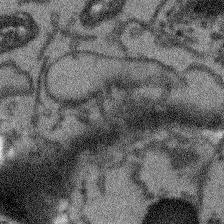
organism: Arabidopsis thaliana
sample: Root tip